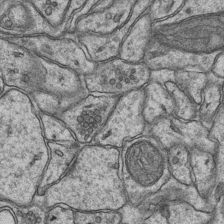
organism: Mouse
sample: CA1 Hippocampus